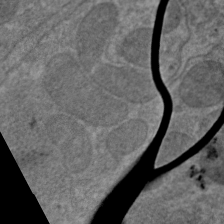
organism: C. elegans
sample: Pharynx